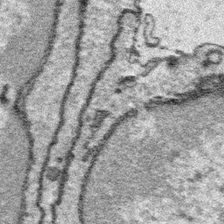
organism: Platynereis dumerilii